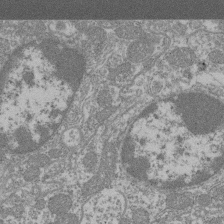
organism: Mouse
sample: Glomerulus